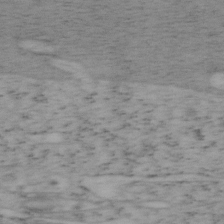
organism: Mouse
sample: OT-I killer T cells with ID8 ovarian cancer cells